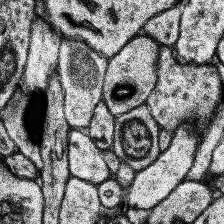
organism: Human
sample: Temporal Lobe